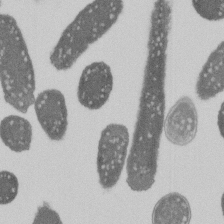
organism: E. coli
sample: Bacterial nucleoid